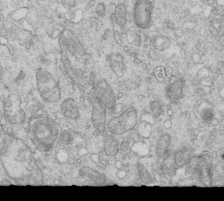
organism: Mouse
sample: Multiciliated cells